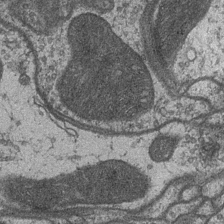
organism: Drosophila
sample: Optic medulla